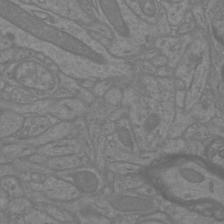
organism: Mouse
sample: Cortical neurons